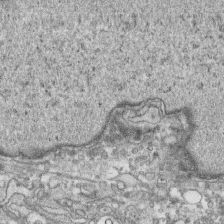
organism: Human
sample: CRL-1474